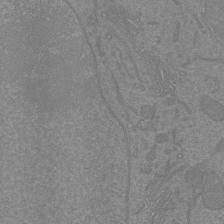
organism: Mouse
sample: Cortical neurons